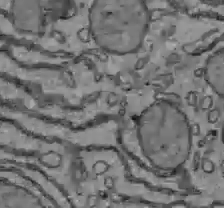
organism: C57BL Mouse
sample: Liver